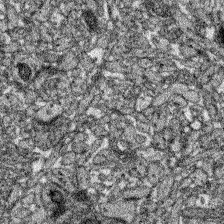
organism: Zebrafish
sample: Larval olfactory bulb